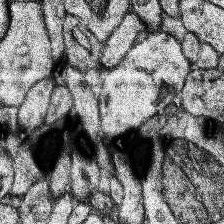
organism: Human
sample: Temporal Lobe